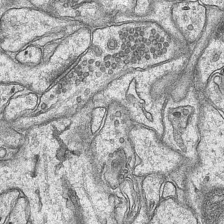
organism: Mouse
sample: CA1 Hippocampus